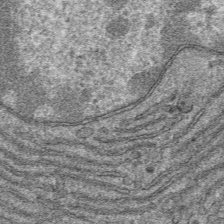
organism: Mouse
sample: Mouse hepatocytes